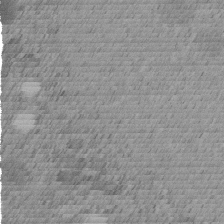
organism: C. elegans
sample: C. elegans embryo early stage